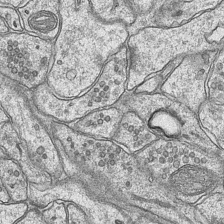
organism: Mouse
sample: CA1 Hippocampus